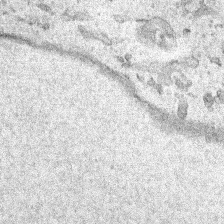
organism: Human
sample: Mitochondria in HCT116 cells